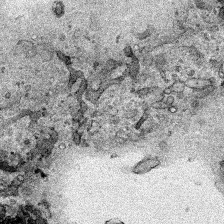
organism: Human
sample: Mitochondria in HCT116 cells